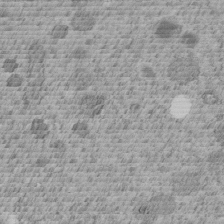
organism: C. elegans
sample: C. elegans embryo early stage